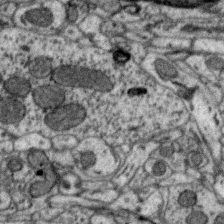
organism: Zebra finch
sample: Brain